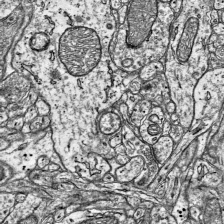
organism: Mouse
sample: Visual Cortex